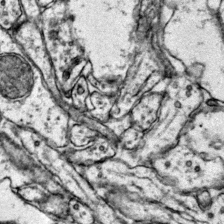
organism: Mouse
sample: Primary visual cortex